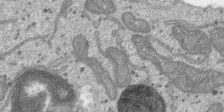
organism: Human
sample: Lung epithelial cells infected with SARS-CoV-2